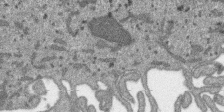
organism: Human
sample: Lung epithelial cells infected with SARS-CoV-2